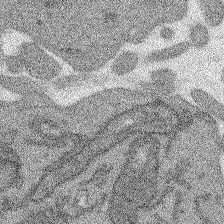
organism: Human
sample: HeLa cells